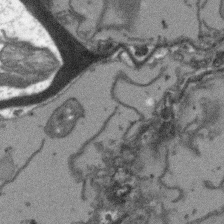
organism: Arabidopsis thaliana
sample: Root tip